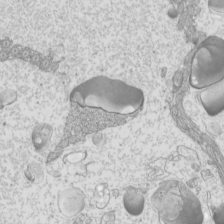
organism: Mouse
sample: Cilia; mouse epididymis